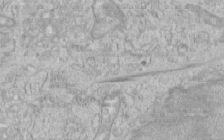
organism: Human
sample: Centriole in RPE cells